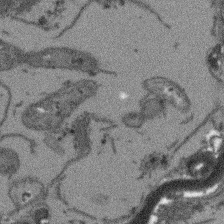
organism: Arabidopsis thaliana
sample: Root tip